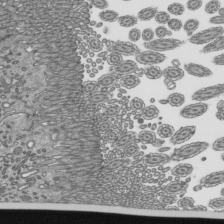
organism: Mouse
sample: Mouse epididymis efferent ductule cilia